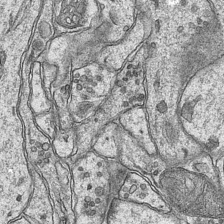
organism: Mouse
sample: CA1 Hippocampus